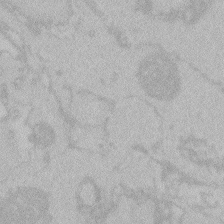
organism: Zebrafish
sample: Macrophage infected with Toxoplasma gondii